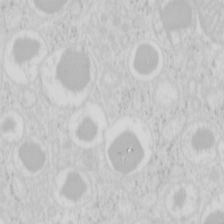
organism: Mouse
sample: Pancreas